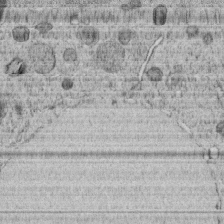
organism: C. elegans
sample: C. elegans embryo early stage